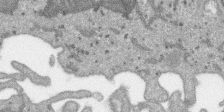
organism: Human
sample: Lung epithelial cells infected with SARS-CoV-2